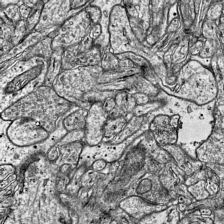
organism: Mouse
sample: Visual Cortex